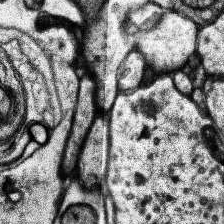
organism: Human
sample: Temporal Lobe